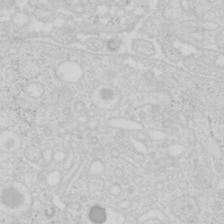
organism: Mouse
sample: Pancreas